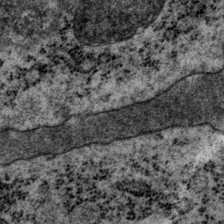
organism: P. pacificus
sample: Pharynx